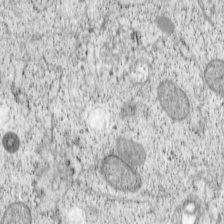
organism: African green monkey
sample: COS-7 cells